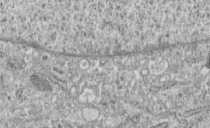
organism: Human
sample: Centriole in fibroblast cells